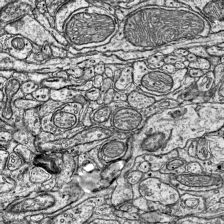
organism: Mouse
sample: Visual Cortex